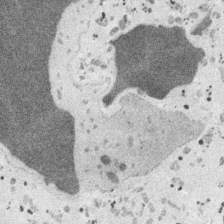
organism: Embia sp.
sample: Silk gland